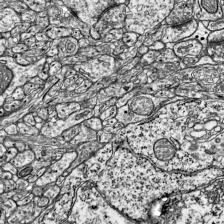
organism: Mouse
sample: Visual Cortex